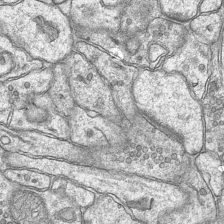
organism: Mouse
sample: CA1 Hippocampus